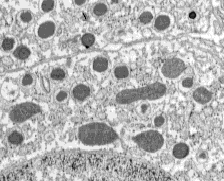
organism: C57BL Mouse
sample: Pancreatic islet